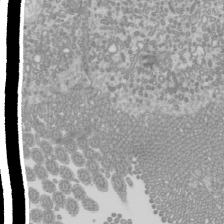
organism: Mouse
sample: Cilia; mouse epididymis